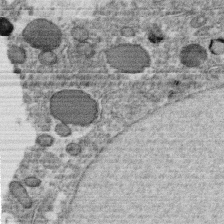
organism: C. elegans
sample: C. elegans oocyte; sperm cells